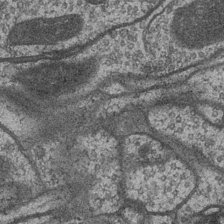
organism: Drosophila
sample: Optic medulla